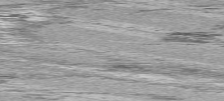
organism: C57BL Mouse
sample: Heart